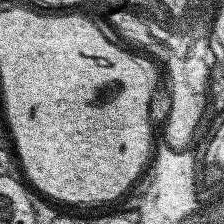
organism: Human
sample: Temporal Lobe